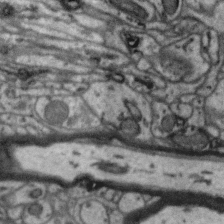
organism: Zebra finch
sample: Brain